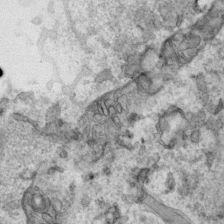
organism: Human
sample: Mitochondria in HCT116 cells